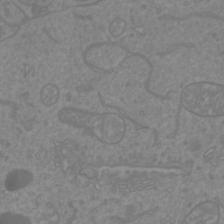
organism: Mouse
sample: Cortical neurons